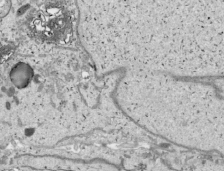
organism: Human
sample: Mitochondria in HCT116 cells